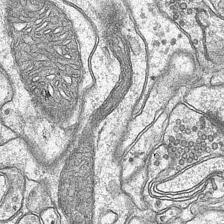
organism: Mouse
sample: CA1 Hippocampus